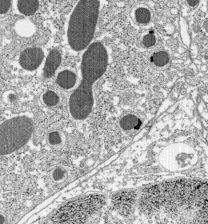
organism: C57BL Mouse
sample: Pancreatic islet